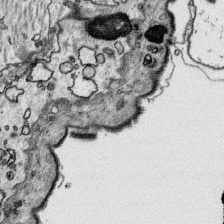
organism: Platynereis dumerilii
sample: Parapodia